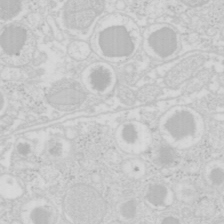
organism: Mouse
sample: Pancreas